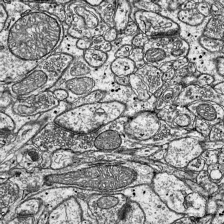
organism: Mouse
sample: Visual Cortex